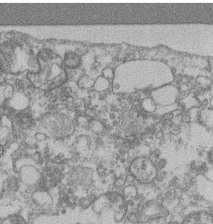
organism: Mouse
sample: T cell stromal cell synapse